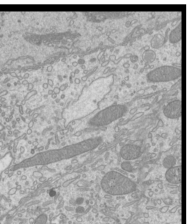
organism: Mouse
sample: Cilia; mouse epididymis